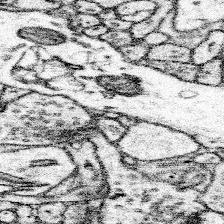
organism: Mouse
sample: Somatosensory cortex neuropil